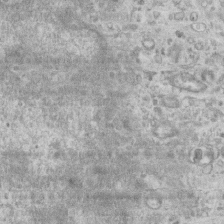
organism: Mouse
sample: Centriole in ependymal cells